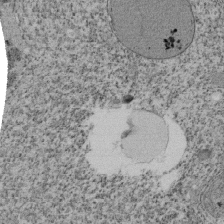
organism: Tetrahymena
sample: Cilia in tetrahymena